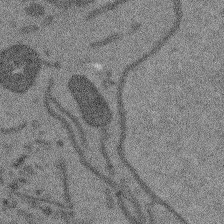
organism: Arabidopsis thaliana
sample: Root tip